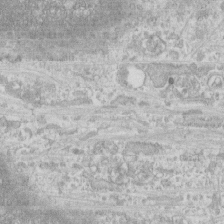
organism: Human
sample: CRL-1474